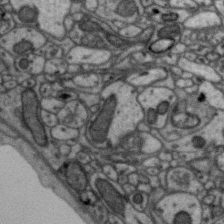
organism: Zebra finch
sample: Brain